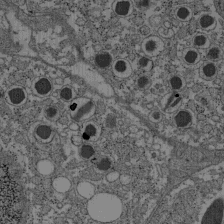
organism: C57BL Mouse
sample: Pancreatic islet